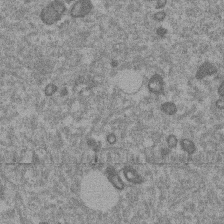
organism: Mouse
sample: Dividing mouse embryo 1 cell stage